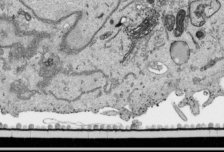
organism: Human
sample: Mitochondria in HCT116 cells